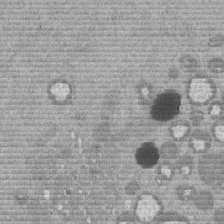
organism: Mouse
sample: Dividing mouse embryo 1 cell stage